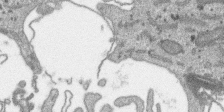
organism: Human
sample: Lung epithelial cells infected with SARS-CoV-2